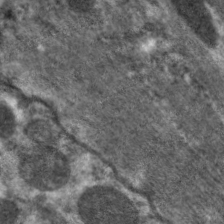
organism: C. elegans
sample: Pharynx